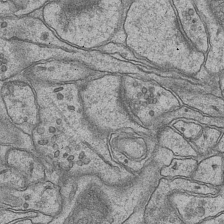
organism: Mouse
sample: CA1 Hippocampus